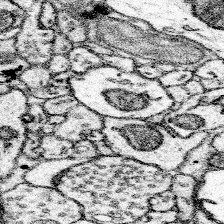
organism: Mouse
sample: Somatosensory cortex neuropil